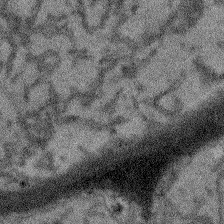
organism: Arabidopsis thaliana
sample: Root tip